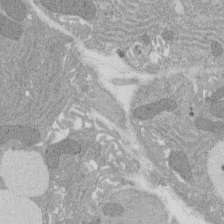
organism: Rat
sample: Salivary granule